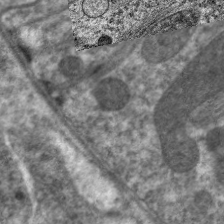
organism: C. elegans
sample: Pharynx